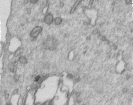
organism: Human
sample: Centriole in RPE cells